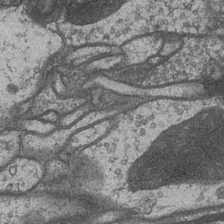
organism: Drosophila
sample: Optic medulla